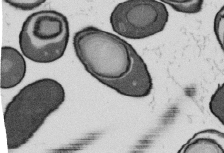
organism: B. subtilis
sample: Bacterial spore